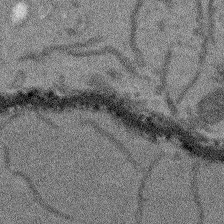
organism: Arabidopsis thaliana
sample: Root tip